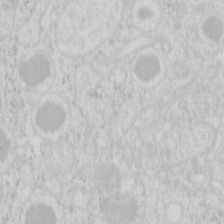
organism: Mouse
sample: Pancreas